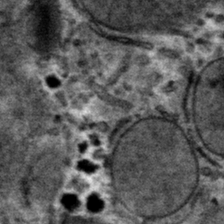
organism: Mouse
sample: Mouse hepatocytes